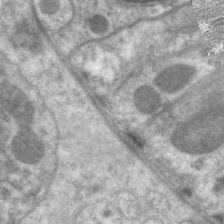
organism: C. elegans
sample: Pharynx